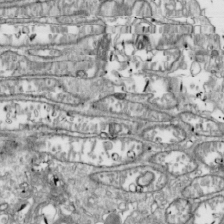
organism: Drosophila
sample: Cell division; meiosis; drosophila spermatocytes